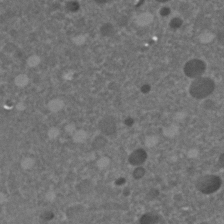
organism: C. elegans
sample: C. elegans embryo